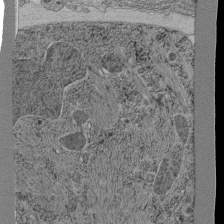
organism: C. elegans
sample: C. elegans pharynx